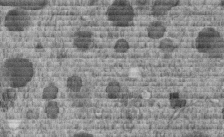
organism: C. elegans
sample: C. elegans embryo early stage